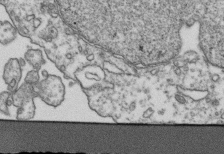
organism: Human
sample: Activated Jurkat CD4+ T cells